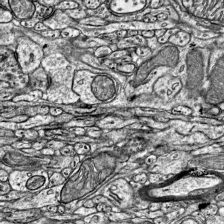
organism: Mouse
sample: Visual Cortex